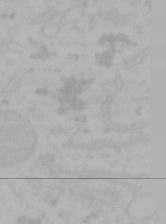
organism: Mouse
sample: Choroid plexus